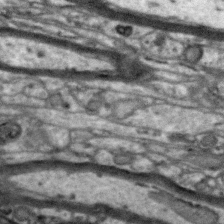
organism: Zebra finch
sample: Brain